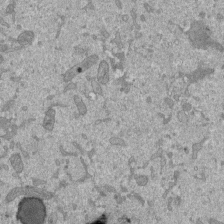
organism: Mouse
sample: ED-1 cell nuclei; centrioles